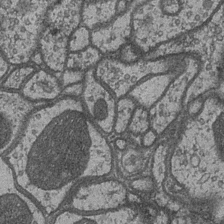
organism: Drosophila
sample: Optic medulla